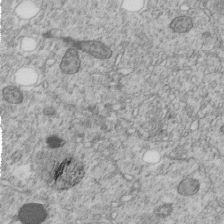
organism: C. elegans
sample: C. elegans embryo early stage